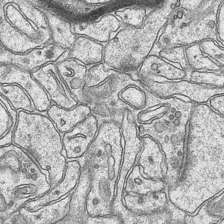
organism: Mouse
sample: CA1 Hippocampus